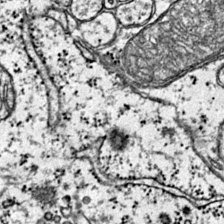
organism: Mouse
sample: Primary visual cortex